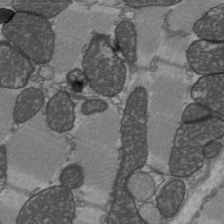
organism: C57BL Mouse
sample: Heart